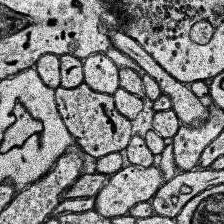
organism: Human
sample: Temporal Lobe